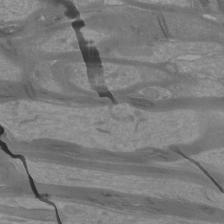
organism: Mouse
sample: Cortical neurons